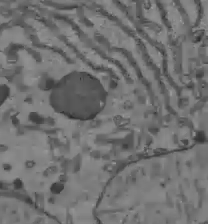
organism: C57BL Mouse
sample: Liver